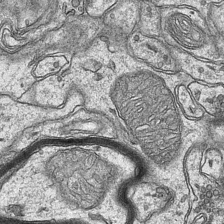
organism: Mouse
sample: CA1 Hippocampus